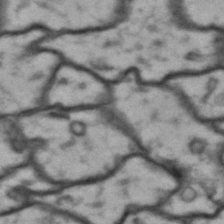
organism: Drosophila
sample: Brain